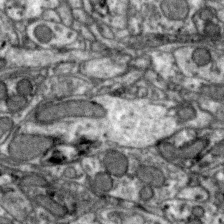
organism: Zebra finch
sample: Brain